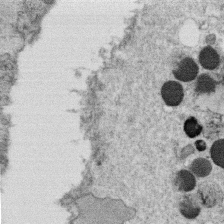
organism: C. elegans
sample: C. elegans oocyte; sperm cells